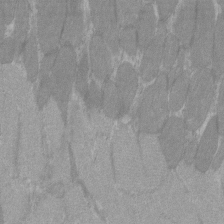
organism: C57BL Mouse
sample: Tibialis anterior muscle cell